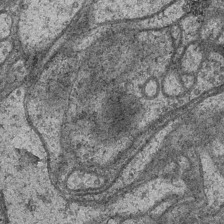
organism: Drosophila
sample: Optic medulla